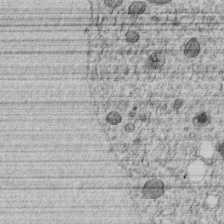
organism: C. elegans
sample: C. elegans embryo early stage